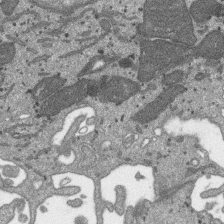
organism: Human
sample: Lung epithelial cells infected with SARS-CoV-2